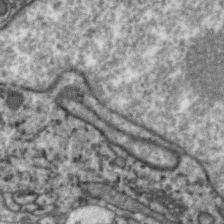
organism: Zebra finch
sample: Brain